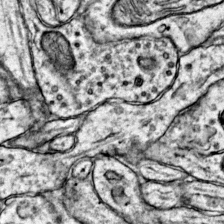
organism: Mouse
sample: Primary visual cortex